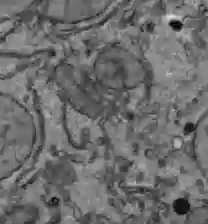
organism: C57BL Mouse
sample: Liver